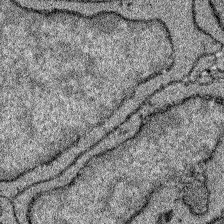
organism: Zebrafish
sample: Larval olfactory bulb